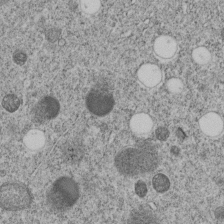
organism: C. elegans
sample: C. elegans embryo early stage